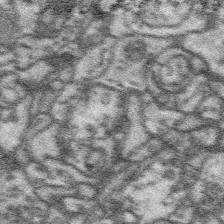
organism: Platynereis dumerilii